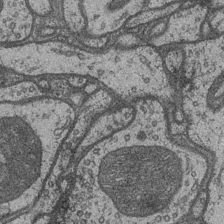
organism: Drosophila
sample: Optic medulla